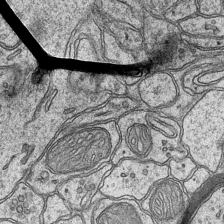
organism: Mouse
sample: CA1 Hippocampus